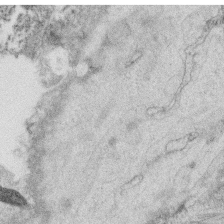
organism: C. elegans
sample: C. elegans oocyte; sperm cells